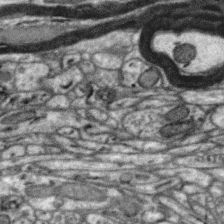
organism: Zebra finch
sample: Brain